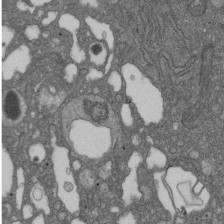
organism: Drosophila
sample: Nephrocyte